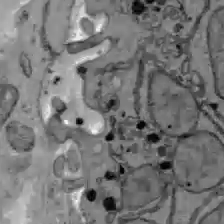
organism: C57BL Mouse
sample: Liver